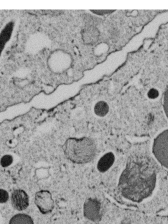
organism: C. elegans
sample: C. elegans embryo early stage